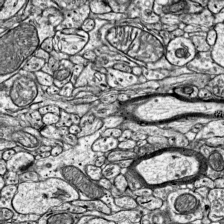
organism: Mouse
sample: Visual Cortex